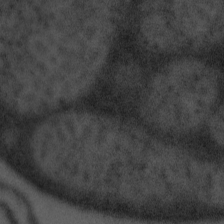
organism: Tuwongella immobilis